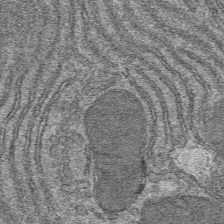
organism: Mouse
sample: Mouse hepatocytes